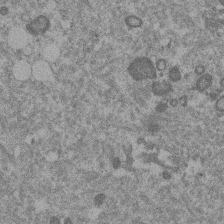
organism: Mouse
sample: Dividing mouse embryo 1 cell stage